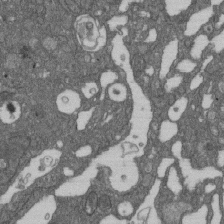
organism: Drosophila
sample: Nephrocyte